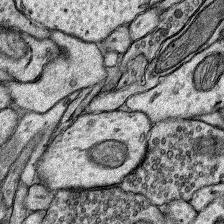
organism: Rat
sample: Hippocampus